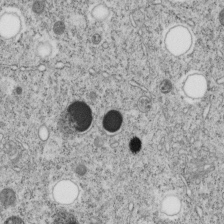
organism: C. elegans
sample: C. elegans embryo early stage